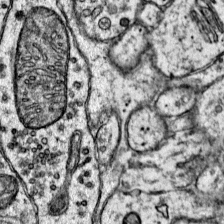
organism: Mouse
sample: Primary visual cortex